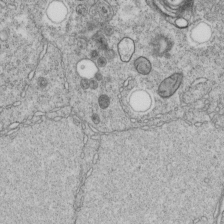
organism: C. elegans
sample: C. elegans embryo early stage